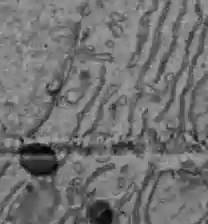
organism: C57BL Mouse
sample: Liver